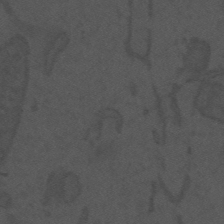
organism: Mouse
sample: Suprachiasmatic nucleus